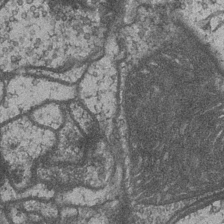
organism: Drosophila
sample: Optic medulla